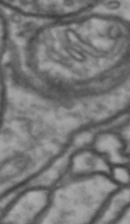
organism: Drosophila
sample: Brain